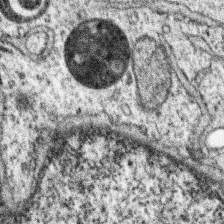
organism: Human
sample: HeLa cells